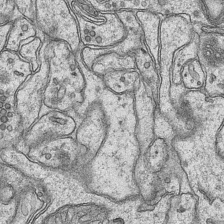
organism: Mouse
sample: CA1 Hippocampus